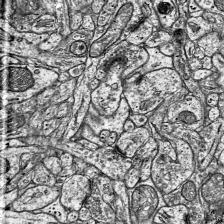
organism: Mouse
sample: Visual Cortex